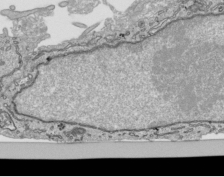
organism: Human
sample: Mitochondria in HCT116 cells